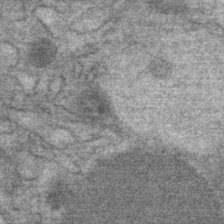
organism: Mouse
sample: Mouse Salivary gland